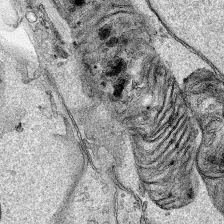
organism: Human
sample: Mitochondria in HCT116 cells